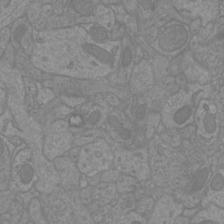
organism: Mouse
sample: Cortical neurons